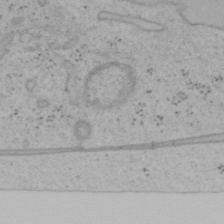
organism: Human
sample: HeLa cells